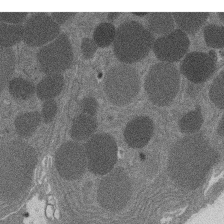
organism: Rat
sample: Salivary granule